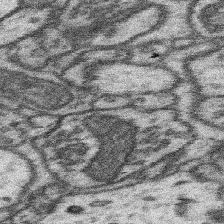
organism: Mouse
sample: Somatosensory cortex neuropil